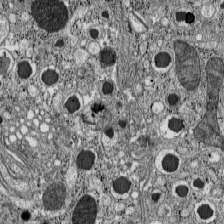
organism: C57BL Mouse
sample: Pancreatic islet